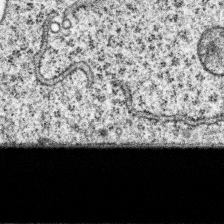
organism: Human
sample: HeLa cells